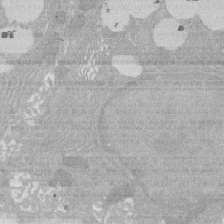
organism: Rat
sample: Salivary granule